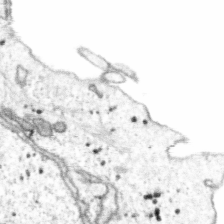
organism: Human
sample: HeLa cells